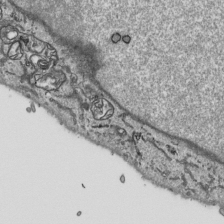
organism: Human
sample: Mitochondria in HCT116 cells